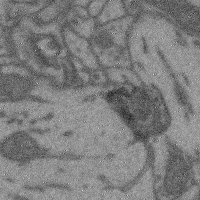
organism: Mouse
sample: Cerebral cortex